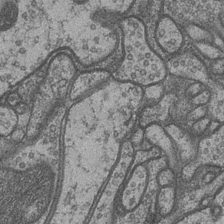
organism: Drosophila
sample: Optic medulla